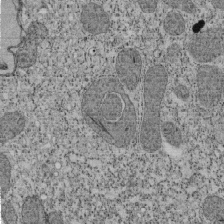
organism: Tetrahymena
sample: Cilia in tetrahymena